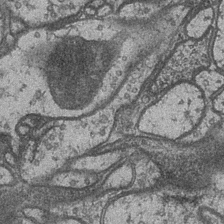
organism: Drosophila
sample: Optic medulla